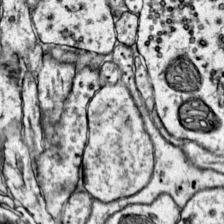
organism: Mouse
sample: Primary visual cortex